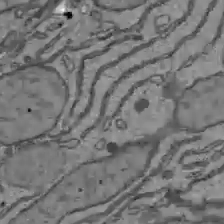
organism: C57BL Mouse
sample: Liver